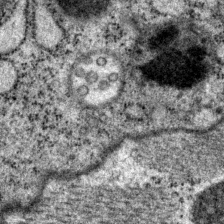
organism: P. pacificus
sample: Pharynx